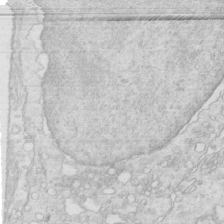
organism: Mouse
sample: Multiciliated cells